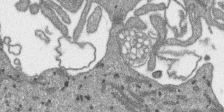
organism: Human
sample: Lung epithelial cells infected with SARS-CoV-2